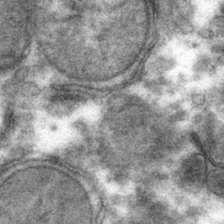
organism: Mouse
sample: Mouse hepatocytes